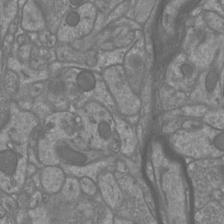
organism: Mouse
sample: Cortical neurons